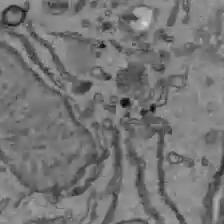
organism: C57BL Mouse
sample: Liver